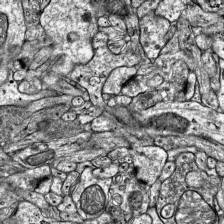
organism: Mouse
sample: Visual Cortex